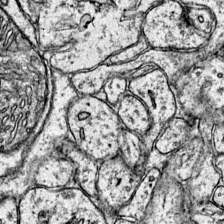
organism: Mouse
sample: Primary visual cortex